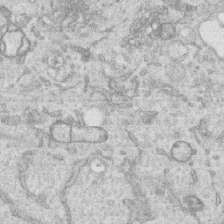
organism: Human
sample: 1205lu cells